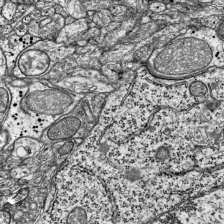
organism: Mouse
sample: Visual Cortex